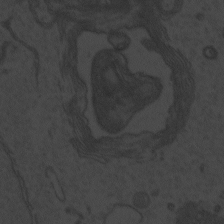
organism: Zebrafish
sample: Macrophage infected with Toxoplasma gondii